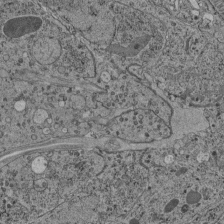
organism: C. elegans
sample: C. elegans pharynx